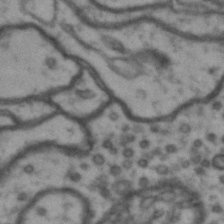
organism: Drosophila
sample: Brain